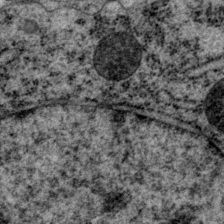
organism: P. pacificus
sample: Pharynx